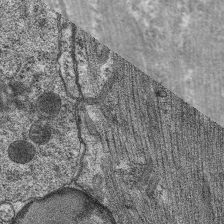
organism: C. elegans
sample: Pharynx